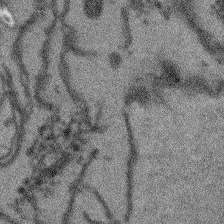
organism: Arabidopsis thaliana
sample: Root tip